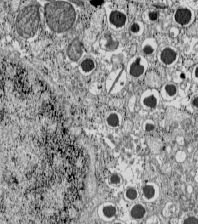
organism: C57BL Mouse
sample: Pancreatic islet